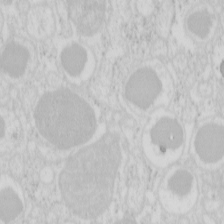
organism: Mouse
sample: Pancreas